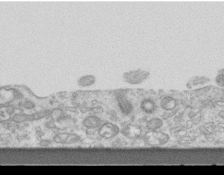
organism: Mouse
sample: Centriole in ependymal cells